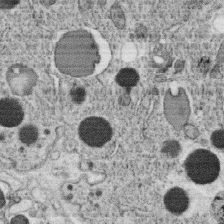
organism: C. elegans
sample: C. elegans oocyte; sperm cells